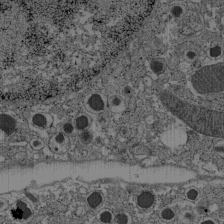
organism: C57BL Mouse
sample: Pancreatic islet